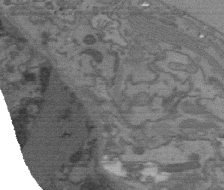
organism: C. elegans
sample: AFD neurons C. elegans